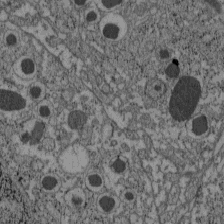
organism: C57BL Mouse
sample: Pancreatic islet